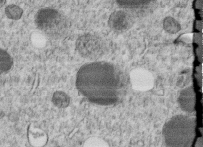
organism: C. elegans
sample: C. elegans embryo early stage